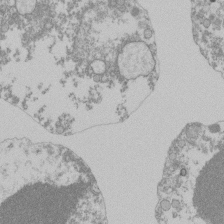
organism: Mouse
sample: Activated Pmel transgenic CD8+ T Cells